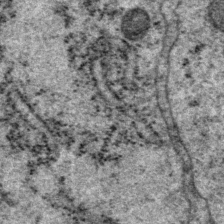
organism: P. pacificus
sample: Pharynx